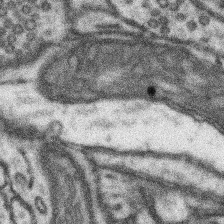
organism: Mouse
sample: Somatosensory cortex neuropil